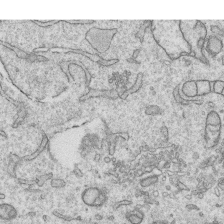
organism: Human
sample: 1205lu cells